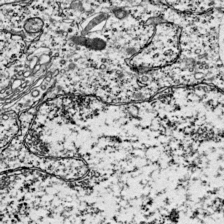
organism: Mouse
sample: Visual Cortex